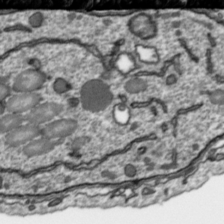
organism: Toxoplasma gondii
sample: Parasites in a vacuole inside a host cell